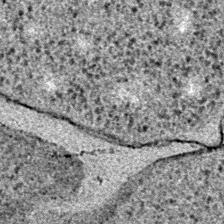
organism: E. coli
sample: E. Coli Bacteria